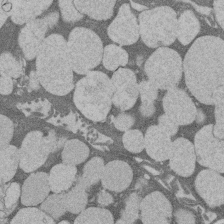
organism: Rat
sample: Salivary granule